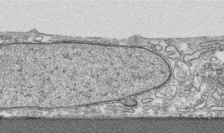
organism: Human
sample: CRL-1474